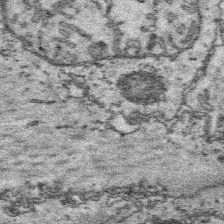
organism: Platynereis dumerilii